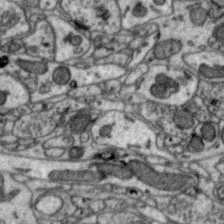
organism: Zebra finch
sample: Brain